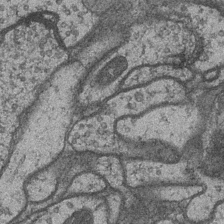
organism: Drosophila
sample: Optic medulla